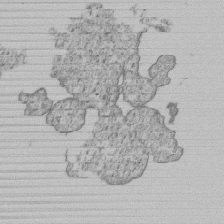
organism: Human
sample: MDA-MB-231 cells